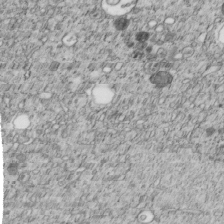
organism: C. elegans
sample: C. elegans embryo early stage